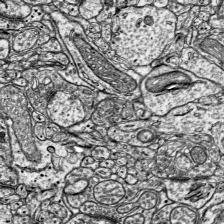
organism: Mouse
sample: Visual Cortex